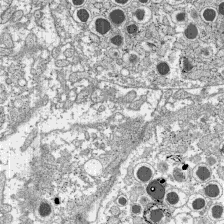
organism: C57BL Mouse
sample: Pancreatic islet